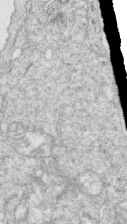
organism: Human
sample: HeLa cell HIV synapse